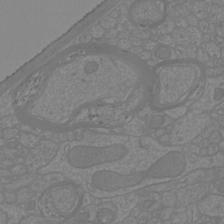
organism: Mouse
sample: Cortical neurons